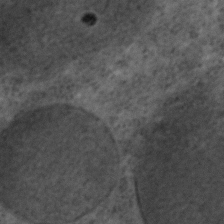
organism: C. elegans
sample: C. elegans embryo